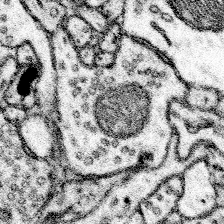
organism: Mouse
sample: Somatosensory cortex neuropil